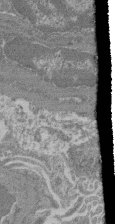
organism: Mouse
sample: Glomerulus